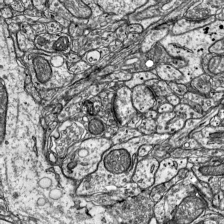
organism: Mouse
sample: Visual Cortex